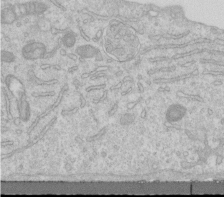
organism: Human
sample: Centriole in RPE cells